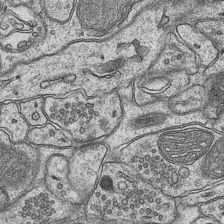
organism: Mouse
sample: CA1 Hippocampus